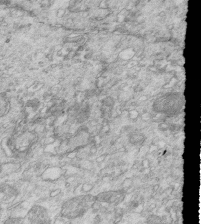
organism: Mouse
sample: Multiciliated cells